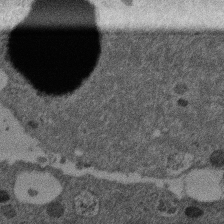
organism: Mouse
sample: Dividing mouse embryo 1 cell stage